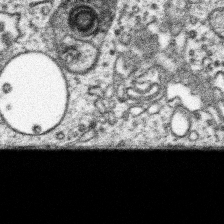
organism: Human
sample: HeLa cells